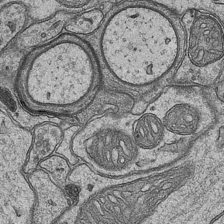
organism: Mouse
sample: CA1 Hippocampus